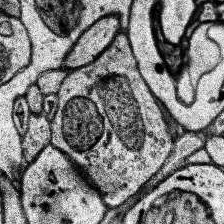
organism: Human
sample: Temporal Lobe